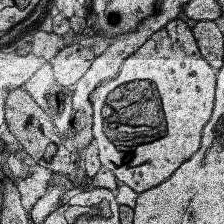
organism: Human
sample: Temporal Lobe